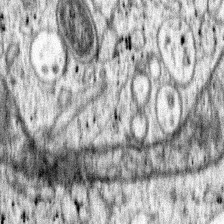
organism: Human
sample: HeLa cells